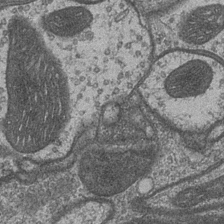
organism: Drosophila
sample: Optic medulla